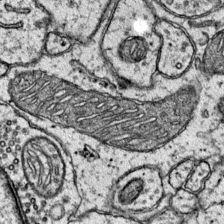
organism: Mouse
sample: Primary visual cortex